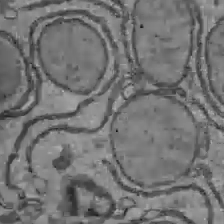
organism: C57BL Mouse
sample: Liver